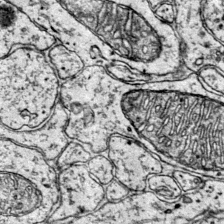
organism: Mouse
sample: Primary visual cortex